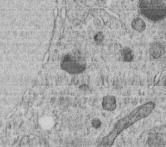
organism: C. elegans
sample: C. elegans embryo early stage